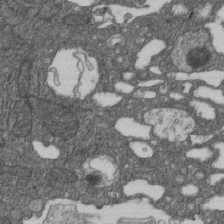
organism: Drosophila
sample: Nephrocyte